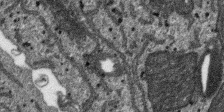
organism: Human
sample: Lung epithelial cells infected with SARS-CoV-2